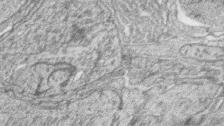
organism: Zebrafish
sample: synaptic ribbons in rod cells and cone cells